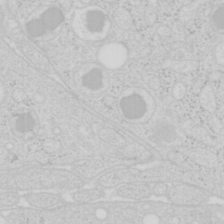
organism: Mouse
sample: Pancreas